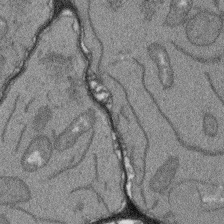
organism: Arabidopsis thaliana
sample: Root tip